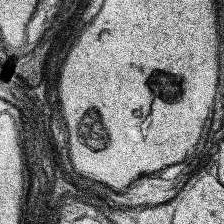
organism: Human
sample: Temporal Lobe